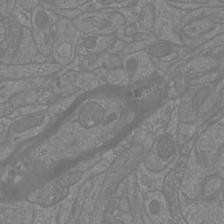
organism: Mouse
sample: Cortical neurons